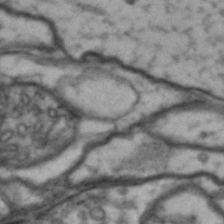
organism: Drosophila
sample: Brain